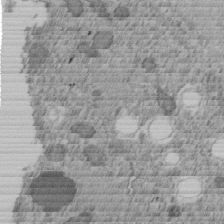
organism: C. elegans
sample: C. elegans embryo early stage